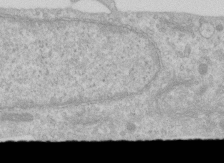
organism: Human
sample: Centriole in RPE cells